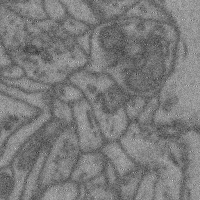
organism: Mouse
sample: Cerebral cortex